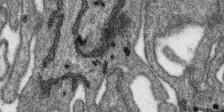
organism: Human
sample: Lung epithelial cells infected with SARS-CoV-2